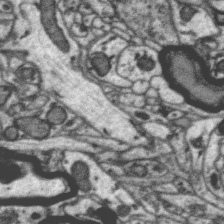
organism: Zebra finch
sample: Brain